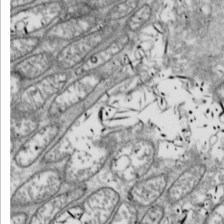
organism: Drosophila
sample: Cell division; meiosis; drosophila spermatocytes